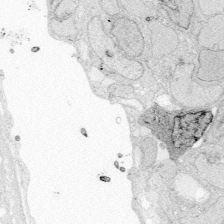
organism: Zebrafish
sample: Whole-Brain